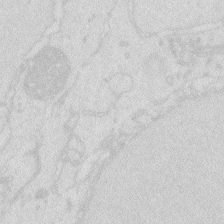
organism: Zebrafish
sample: Macrophage